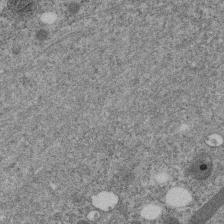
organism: C. elegans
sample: C. elegans embryo early stage